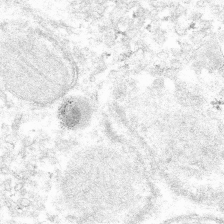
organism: Mouse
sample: Mouse hepatocytes